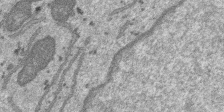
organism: Human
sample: Lung epithelial cells infected with SARS-CoV-2